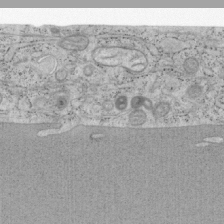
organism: Human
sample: HeLa cells